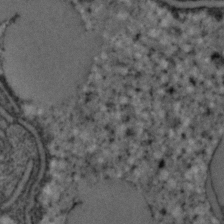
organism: C. elegans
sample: C. elegans embryo